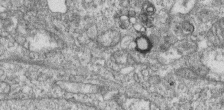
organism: Human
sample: HeLa cell HIV synapse